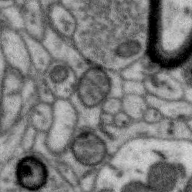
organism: Zebra finch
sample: Brain